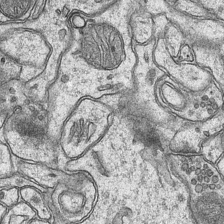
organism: Mouse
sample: CA1 Hippocampus